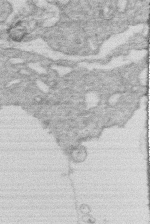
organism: Human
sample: Macrophage cells